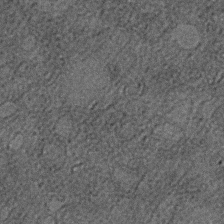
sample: Trachea